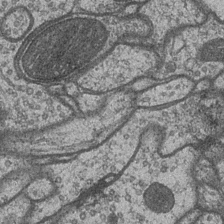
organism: Drosophila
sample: Optic medulla